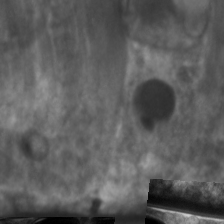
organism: C. elegans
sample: Pharynx